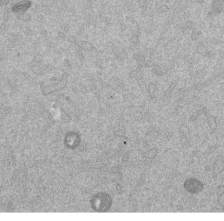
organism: Mouse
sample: Dividing mouse embryo 1 cell stage